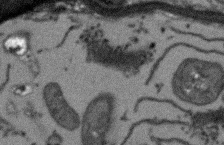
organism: Arabidopsis thaliana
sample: Root tip